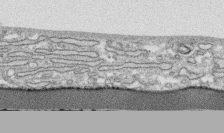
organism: Human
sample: CRL-1474